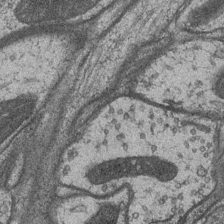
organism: Drosophila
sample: Optic medulla